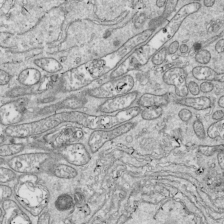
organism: Drosophila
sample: Cell division; meiosis; drosophila spermatocytes